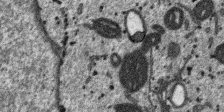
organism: Human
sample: Lung epithelial cells infected with SARS-CoV-2